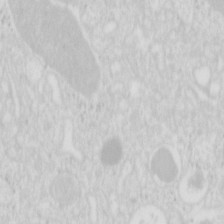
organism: Mouse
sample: Pancreas